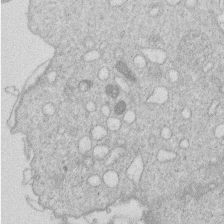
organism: Human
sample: Macrophage cells